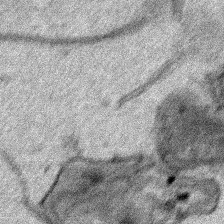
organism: Human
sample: Mitochondria in HCT116 cells